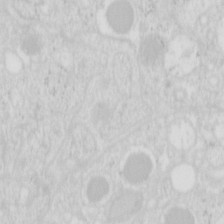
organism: Mouse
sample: Pancreas